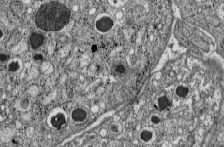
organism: C57BL Mouse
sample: Pancreatic islet